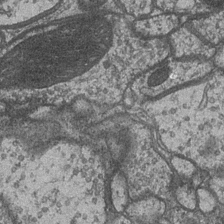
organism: Drosophila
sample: Optic medulla